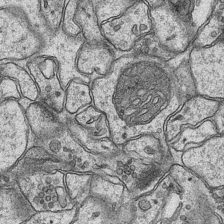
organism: Mouse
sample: CA1 Hippocampus